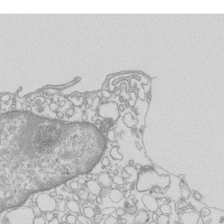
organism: Mouse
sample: Macrophages